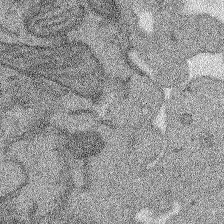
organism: Human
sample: HeLa cells